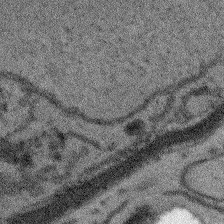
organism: Arabidopsis thaliana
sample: Root tip